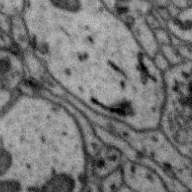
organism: Zebra finch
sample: Brain